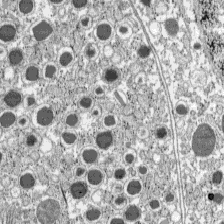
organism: C57BL Mouse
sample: Pancreatic islet